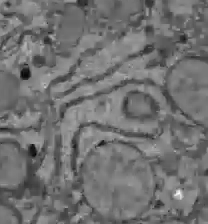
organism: C57BL Mouse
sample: Liver